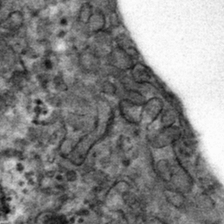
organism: Mouse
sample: Mouse hepatocytes